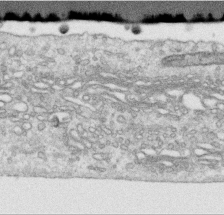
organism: Human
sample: Centriole in RPE cells